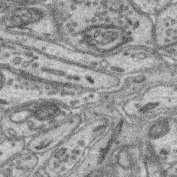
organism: Mouse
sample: Retina